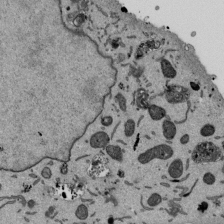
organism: Mouse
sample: ED-1 cell nuclei; centrioles